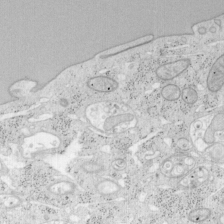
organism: Mouse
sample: OT-I killer T cells with ID8 ovarian cancer cells